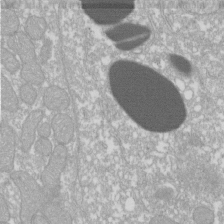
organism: Xenopus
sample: Cilia; centrioles in frog embryo cells